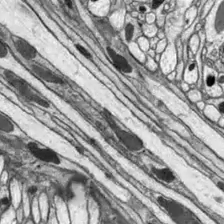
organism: Drosophila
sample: Optic lobe